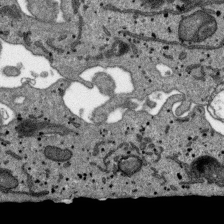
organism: Human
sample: Lung epithelial cells, uninfected (mock) control